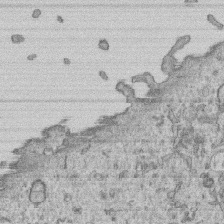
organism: Human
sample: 1205lu cells